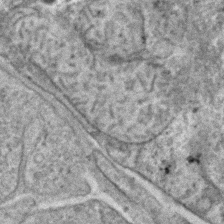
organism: C. elegans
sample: C. elegans embryo